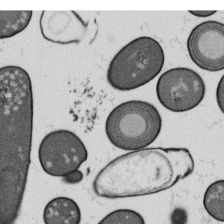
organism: B. subtilis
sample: Bacterial spore